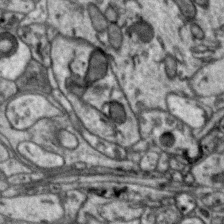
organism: Zebra finch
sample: Brain